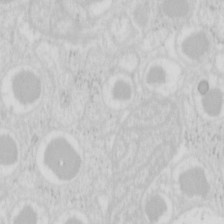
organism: Mouse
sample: Pancreas